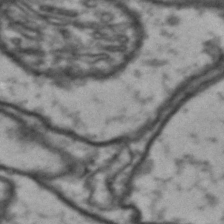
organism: Drosophila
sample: Brain